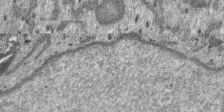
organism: Human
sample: Lung epithelial cells infected with SARS-CoV-2